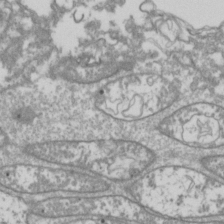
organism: Drosophila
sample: Cell division; meiosis; drosophila spermatocytes